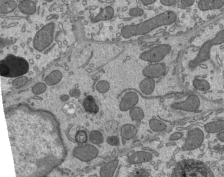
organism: Mouse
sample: Mouse epididymis efferent ductule cilia